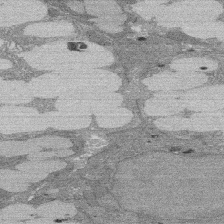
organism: Rat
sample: Salivary granule